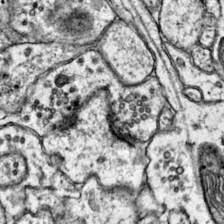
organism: Mouse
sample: Primary visual cortex